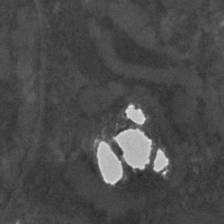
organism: C. elegans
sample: C. elegans embryo